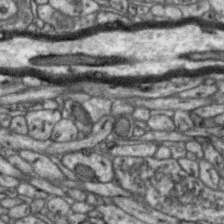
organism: Zebra finch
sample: Brain